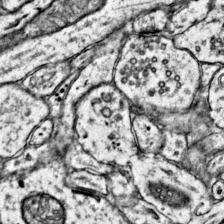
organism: Mouse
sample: Primary visual cortex